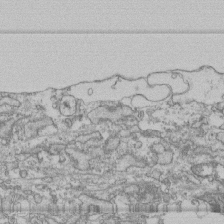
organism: Human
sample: Fibroblast cells